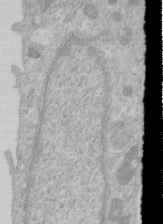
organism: Human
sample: Centriole in RPE cells